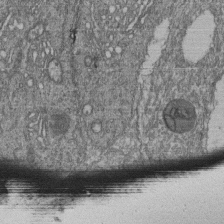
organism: Human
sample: Retinal organoid Rod and Cone cells